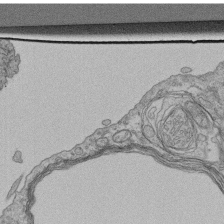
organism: Human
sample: Retinal organoid Rod and Cone cells